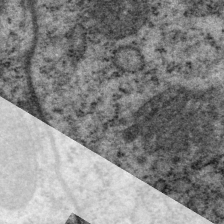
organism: P. pacificus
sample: Pharynx